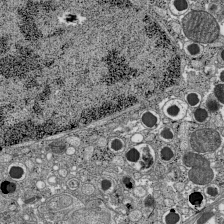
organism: C57BL Mouse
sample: Pancreatic islet